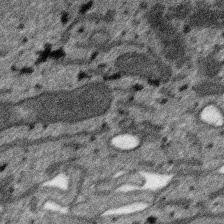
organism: Human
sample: Lung epithelial cells infected with SARS-CoV-2